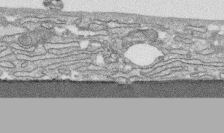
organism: Human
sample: CRL-1474